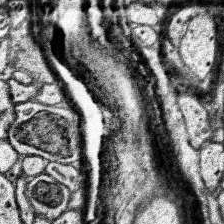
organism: Human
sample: Temporal Lobe